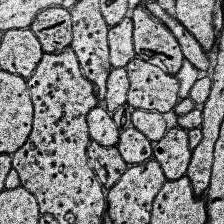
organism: Human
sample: Temporal Lobe